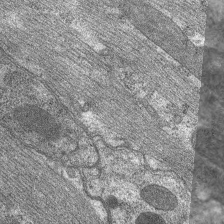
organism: C. elegans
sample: Pharynx